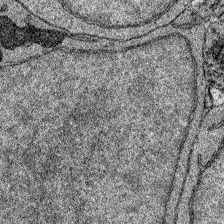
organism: Zebrafish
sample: Larval olfactory bulb